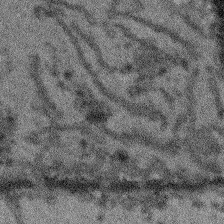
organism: Arabidopsis thaliana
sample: Root tip